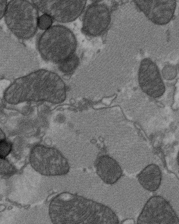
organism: C57BL Mouse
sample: Heart